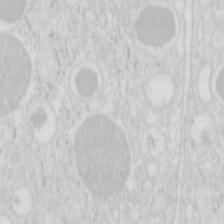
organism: Mouse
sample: Pancreas